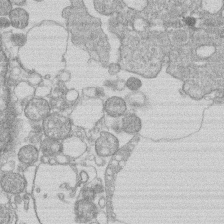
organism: Human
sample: Macrophage cells